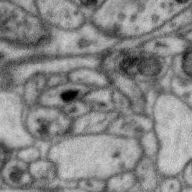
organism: Zebra finch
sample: Brain